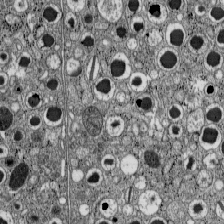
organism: C57BL Mouse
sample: Pancreatic islet